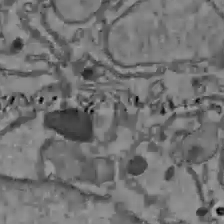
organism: C57BL Mouse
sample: Liver